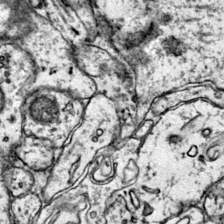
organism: Mouse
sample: Primary visual cortex